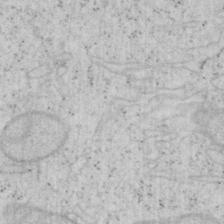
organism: Human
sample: HeLa cells